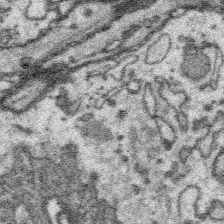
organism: Platynereis dumerilii